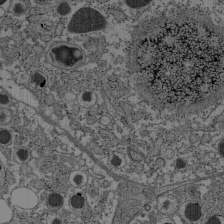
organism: C57BL Mouse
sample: Pancreatic islet